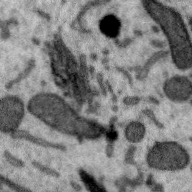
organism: Zebra finch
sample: Brain